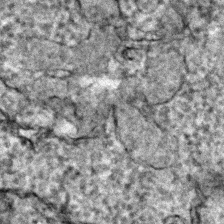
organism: Zebrafish